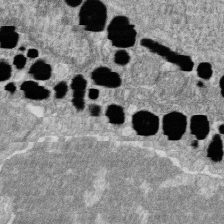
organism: Zebrafish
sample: Cilia; retinal pigment epithelium